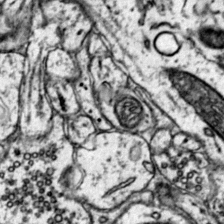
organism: Mouse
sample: Primary visual cortex